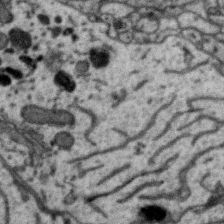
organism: Zebra finch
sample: Brain